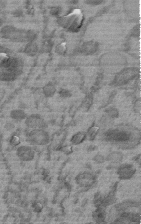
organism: C. elegans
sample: C. elegans embryo early stage